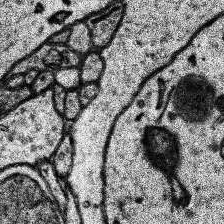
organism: Human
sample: Temporal Lobe